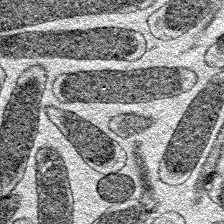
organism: E. coli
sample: E. Coli Bacteria